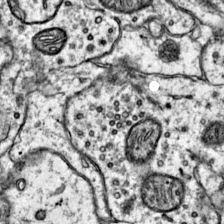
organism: Mouse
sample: Primary visual cortex